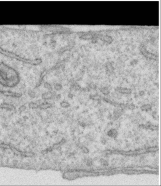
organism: Human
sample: Centriole in RPE cells